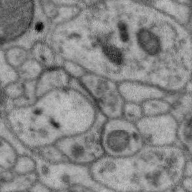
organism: Zebra finch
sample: Brain